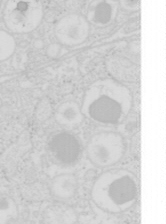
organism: Mouse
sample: Pancreas